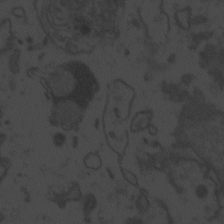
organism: Zebrafish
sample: Macrophage infected with Toxoplasma gondii